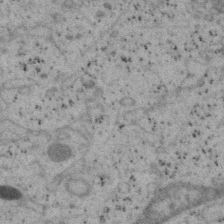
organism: Human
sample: HeLa cells